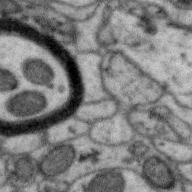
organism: Zebra finch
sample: Brain